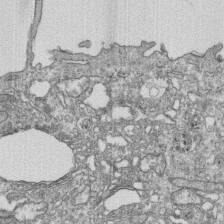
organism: Human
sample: HeLa cell HIV synapse